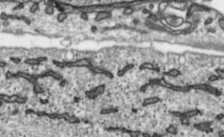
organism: Toxoplasma gondii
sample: Parasites in a vacuole inside a host cell